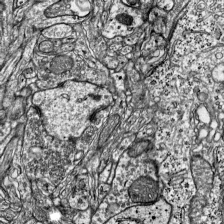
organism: Mouse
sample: Visual Cortex